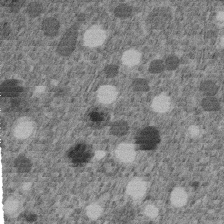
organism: C. elegans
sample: C. elegans embryo early stage